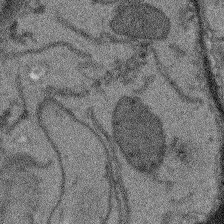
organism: Arabidopsis thaliana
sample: Root tip